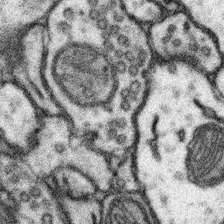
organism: Mouse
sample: Somatosensory cortex neuropil